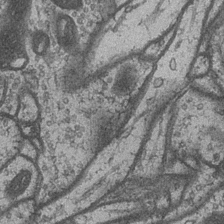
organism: Drosophila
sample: Optic medulla